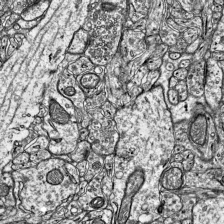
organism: Mouse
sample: Visual Cortex